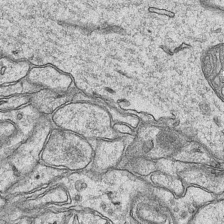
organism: Mouse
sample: CA1 Hippocampus